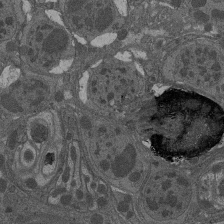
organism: Drosophila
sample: Antenna